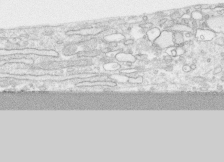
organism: Human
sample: CRL-1474